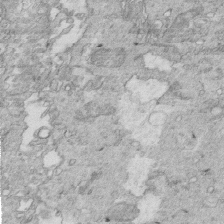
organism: Mouse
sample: Multiciliated cells